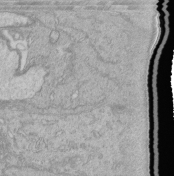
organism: Human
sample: Retinal organoid Rod and Cone cells